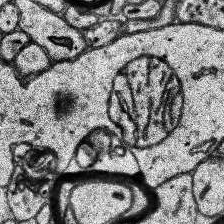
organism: Human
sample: Temporal Lobe